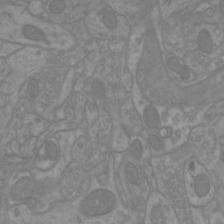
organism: Mouse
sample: Cortical neurons